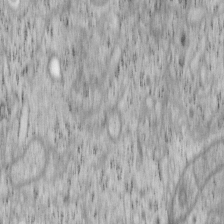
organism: Human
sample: HeLa cells